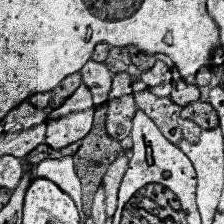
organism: Human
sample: Temporal Lobe